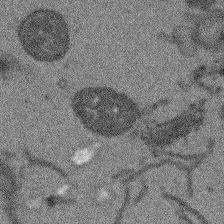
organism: Arabidopsis thaliana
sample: Root tip